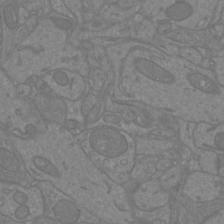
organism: Mouse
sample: Cortical neurons